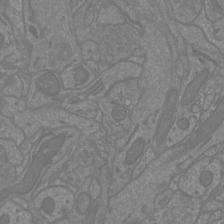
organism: Mouse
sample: Cortical neurons